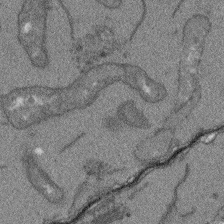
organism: Arabidopsis thaliana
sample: Root tip